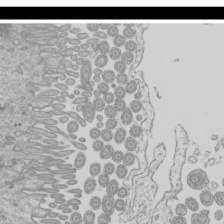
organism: Mouse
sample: Cilia; mouse epididymis